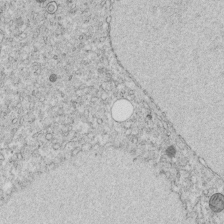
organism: C. elegans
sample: C. elegans embryo early stage